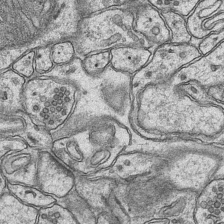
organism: Mouse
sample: CA1 Hippocampus